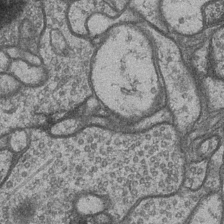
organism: Drosophila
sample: Optic medulla